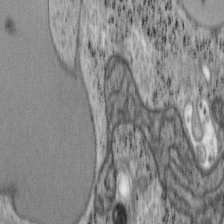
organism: Human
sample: HeLa cells